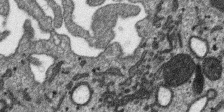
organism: Human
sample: Lung epithelial cells infected with SARS-CoV-2